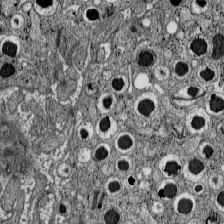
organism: C57BL Mouse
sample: Pancreatic islet